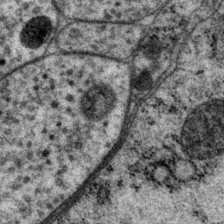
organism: P. pacificus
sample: Pharynx